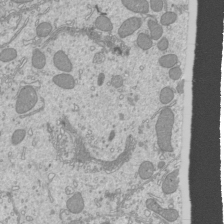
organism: Mouse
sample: Cilia; mouse epididymis